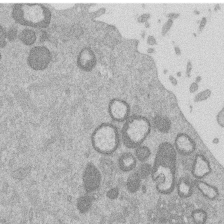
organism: Mouse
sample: Dividing mouse embryo 1 cell stage